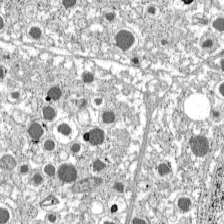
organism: C57BL Mouse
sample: Pancreatic islet